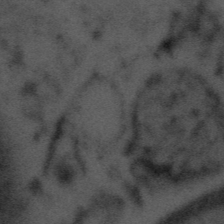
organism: Tuwongella immobilis